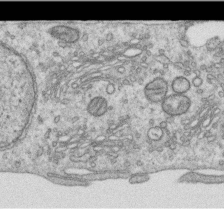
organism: Human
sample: Centriole in RPE cells